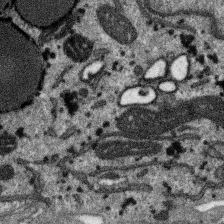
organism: Human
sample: Lung epithelial cells infected with SARS-CoV-2